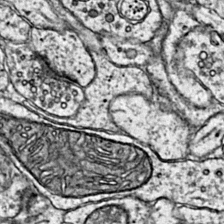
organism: Mouse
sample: Primary visual cortex